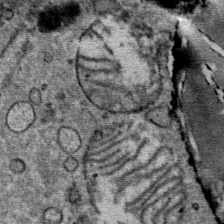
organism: Mouse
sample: Mouse Salivary gland